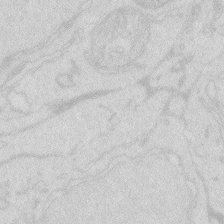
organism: Zebrafish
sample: Macrophage